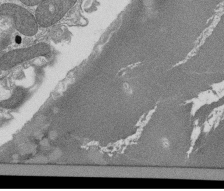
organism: Tetrahymena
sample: Cilia in tetrahymena